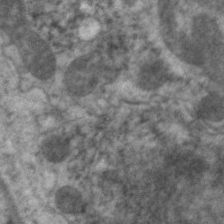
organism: C. elegans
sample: Pharynx